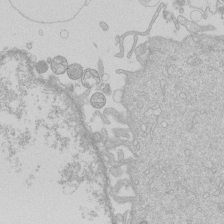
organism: Human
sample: Macrophage cells